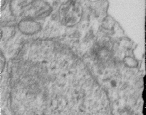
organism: Human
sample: Centriole in RPE cells